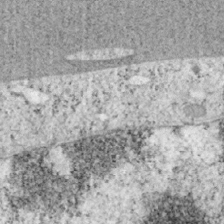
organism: Mouse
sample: OT-I killer T cells with ID8 ovarian cancer cells